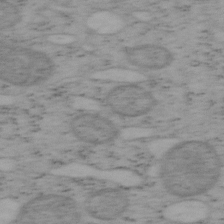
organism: Mouse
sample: OT-I killer T cells with ID8 ovarian cancer cells